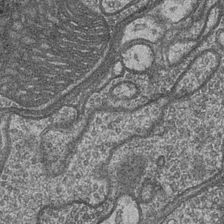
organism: Drosophila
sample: Optic medulla